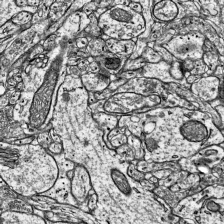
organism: Mouse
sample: Visual Cortex